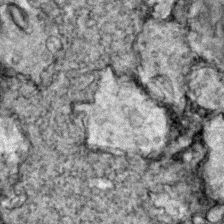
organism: Zebrafish